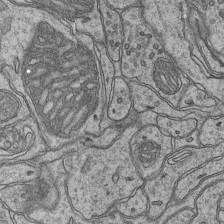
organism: Mouse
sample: CA1 Hippocampus